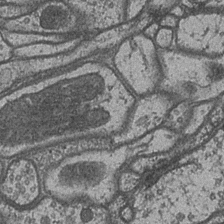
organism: Drosophila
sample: Optic medulla